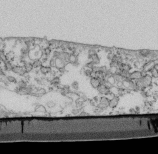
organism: Mouse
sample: Cilia; retinal pigment epithelium